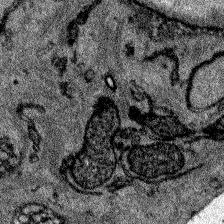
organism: Zebrafish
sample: Larval olfactory bulb